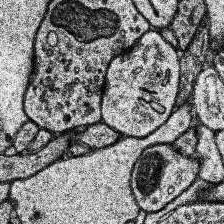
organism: Human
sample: Temporal Lobe